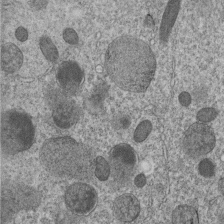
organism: C. elegans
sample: C. elegans embryo early stage